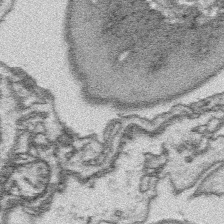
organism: Platynereis dumerilii